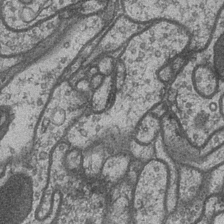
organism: Drosophila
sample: Optic medulla